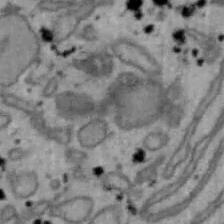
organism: Mouse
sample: Liver